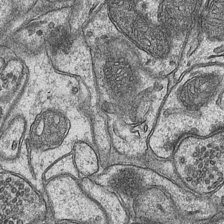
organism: Mouse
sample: CA1 Hippocampus